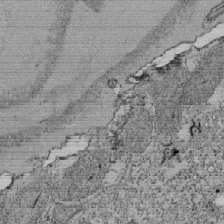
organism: Tetrahymena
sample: Cilia in tetrahymena